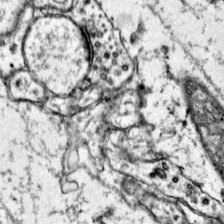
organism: Mouse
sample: Primary visual cortex